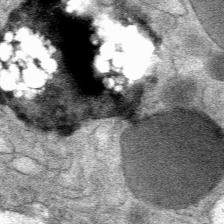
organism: Mouse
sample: Mouse Salivary gland